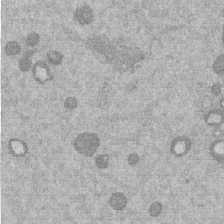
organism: Mouse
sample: Dividing mouse embryo 1 cell stage